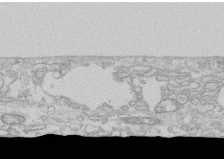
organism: Human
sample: CRL-1474